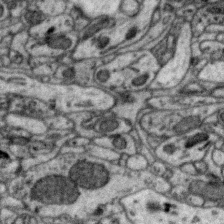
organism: Zebra finch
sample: Brain